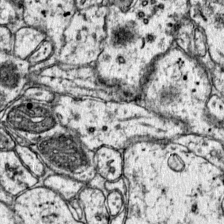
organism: Mouse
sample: Primary visual cortex